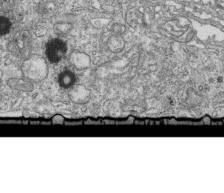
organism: Human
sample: HeLa cell HIV synapse